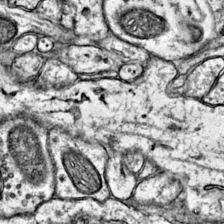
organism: Mouse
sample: Primary visual cortex